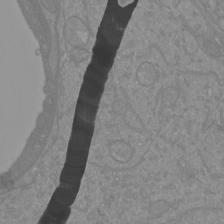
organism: Mouse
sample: Cortical neurons